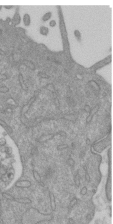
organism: Mouse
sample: ED-1 cell nuclei; centrioles